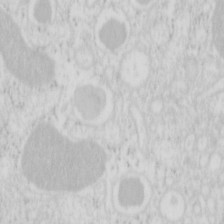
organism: Mouse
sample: Pancreas